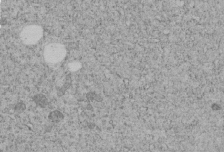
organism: C. elegans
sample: C. elegans embryo early stage